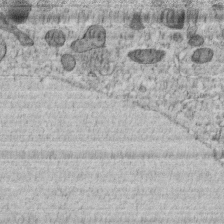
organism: C. elegans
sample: C. elegans embryo early stage